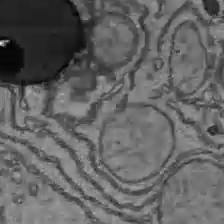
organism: C57BL Mouse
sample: Liver